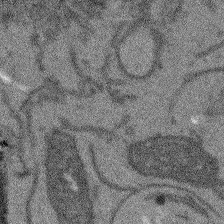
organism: Arabidopsis thaliana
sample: Root tip